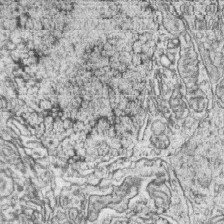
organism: Zebrafish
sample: synaptic ribbons in rod cells and cone cells